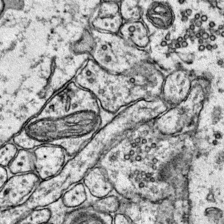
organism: Mouse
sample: Primary visual cortex